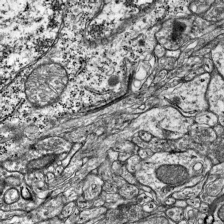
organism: Mouse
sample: Visual Cortex